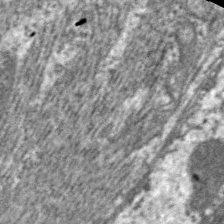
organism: C. elegans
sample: Pharynx